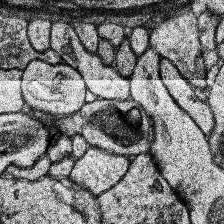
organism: Human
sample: Temporal Lobe